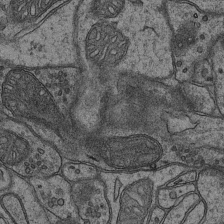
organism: Mouse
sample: CA1 Hippocampus